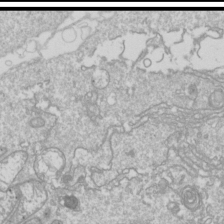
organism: Drosophila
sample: Cell division; meiosis; drosophila spermatocytes